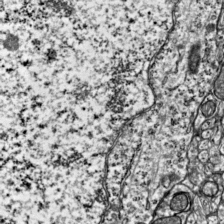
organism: Mouse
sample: Visual Cortex